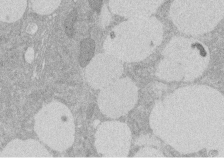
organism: Rat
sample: Salivary granule